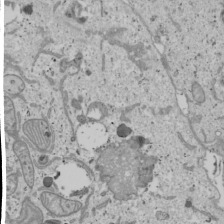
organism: Human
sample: Mitochondria in U2OS cells